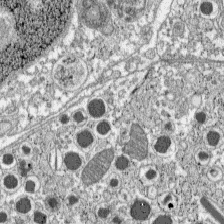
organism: C57BL Mouse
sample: Pancreatic islet